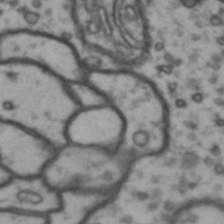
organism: Drosophila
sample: Brain